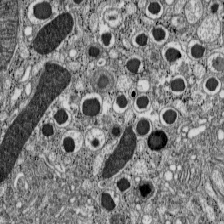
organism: C57BL Mouse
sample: Pancreatic islet